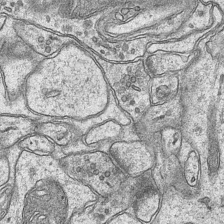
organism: Mouse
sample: CA1 Hippocampus